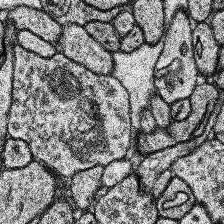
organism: Human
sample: Temporal Lobe